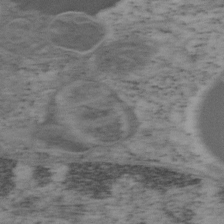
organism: Mouse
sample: OT-I killer T cells with ID8 ovarian cancer cells